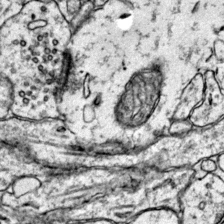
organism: Mouse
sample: Primary visual cortex